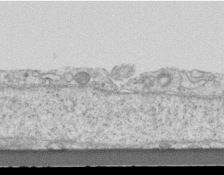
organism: Mouse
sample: Centriole in ependymal cells